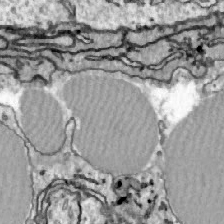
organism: Zebrafish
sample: Actinotrichia fibers